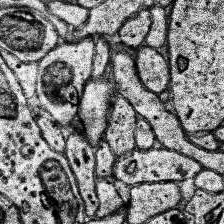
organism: Human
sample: Temporal Lobe